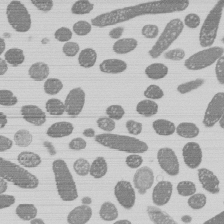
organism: E. coli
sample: Bacterial nucleoid